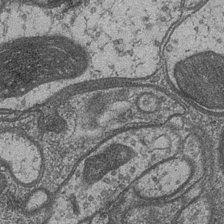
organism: Drosophila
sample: Optic medulla